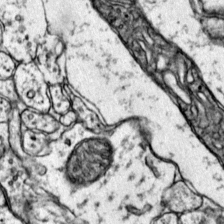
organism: Mouse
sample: Primary visual cortex